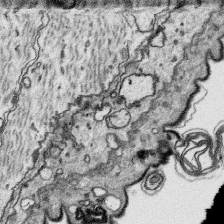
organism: Platynereis dumerilii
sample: Parapodia